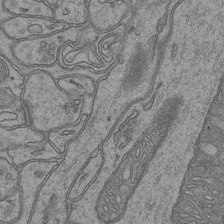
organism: Mouse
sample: CA1 Hippocampus